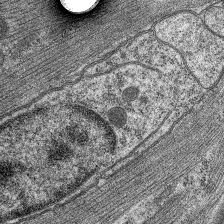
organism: C. elegans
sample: Pharynx